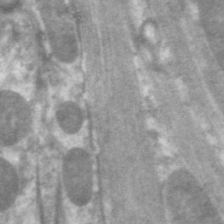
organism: C. elegans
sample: Pharynx